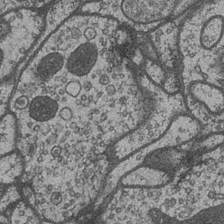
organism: Drosophila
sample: Optic medulla